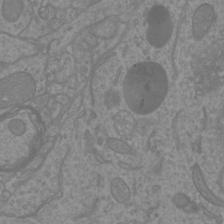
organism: Mouse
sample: Cortical neurons